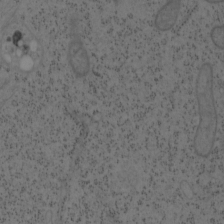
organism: Mouse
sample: OT-I killer T cells with ID8 ovarian cancer cells